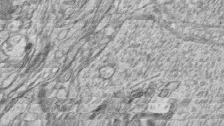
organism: Zebrafish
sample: synaptic ribbons in rod cells and cone cells